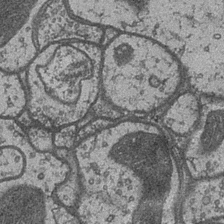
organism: Drosophila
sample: Optic medulla